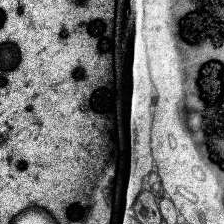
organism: Human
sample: Temporal Lobe